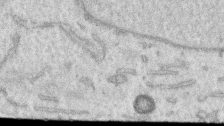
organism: Human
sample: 1205lu cells